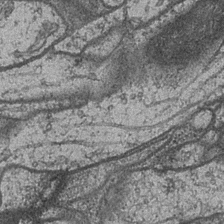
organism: Drosophila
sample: Optic medulla